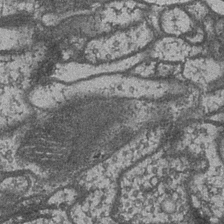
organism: Drosophila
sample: Optic medulla